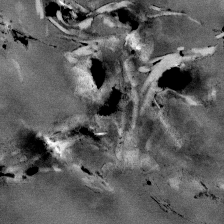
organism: Mouse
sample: Mouse Salivary gland